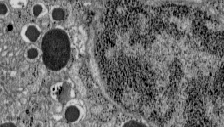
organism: C57BL Mouse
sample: Pancreatic islet